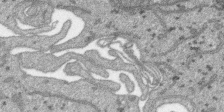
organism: Human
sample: Lung epithelial cells infected with SARS-CoV-2